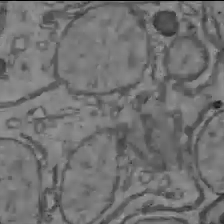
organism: C57BL Mouse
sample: Liver